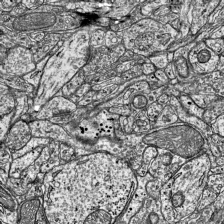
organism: Mouse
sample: Visual Cortex